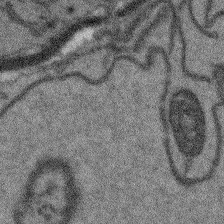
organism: Arabidopsis thaliana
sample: Root tip